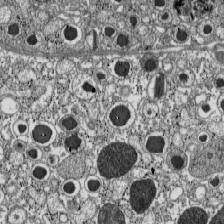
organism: C57BL Mouse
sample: Pancreatic islet